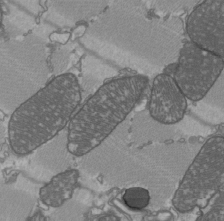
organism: C57BL Mouse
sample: Heart